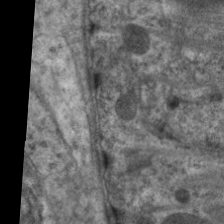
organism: C. elegans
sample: Pharynx